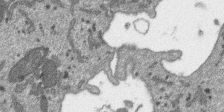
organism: Human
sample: Lung epithelial cells infected with SARS-CoV-2